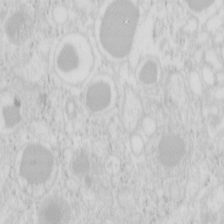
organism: Mouse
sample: Pancreas